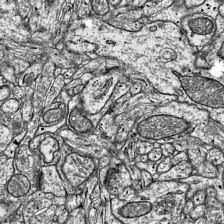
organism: Mouse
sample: Visual Cortex